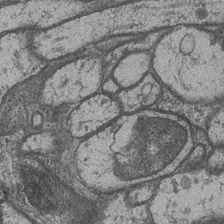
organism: Drosophila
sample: Optic medulla